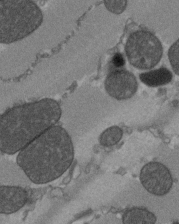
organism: C57BL Mouse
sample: Heart